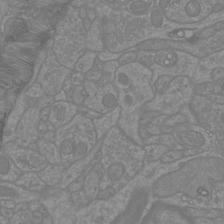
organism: Mouse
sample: Cortical neurons